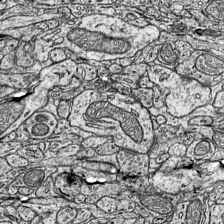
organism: Mouse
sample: Visual Cortex